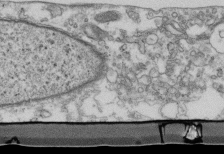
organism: Mouse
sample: Cilia; retinal pigment epithelium